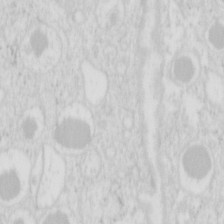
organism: Mouse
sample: Pancreas